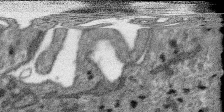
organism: Human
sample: Lung epithelial cells infected with SARS-CoV-2